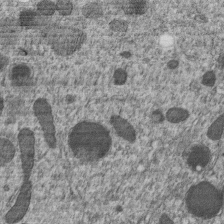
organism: C. elegans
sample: C. elegans embryo early stage